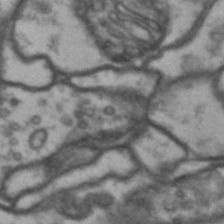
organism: Drosophila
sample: Brain